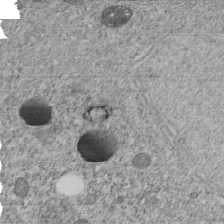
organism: C. elegans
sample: C. elegans embryo early stage